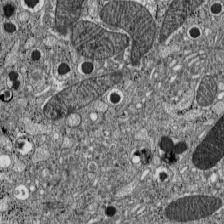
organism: C57BL Mouse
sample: Pancreatic islet